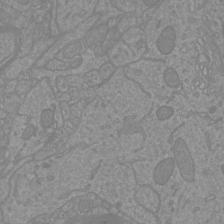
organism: Mouse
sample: Cortical neurons